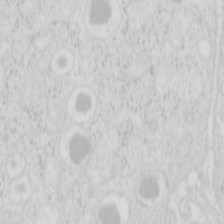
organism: Mouse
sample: Pancreas